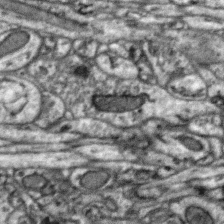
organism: Zebra finch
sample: Brain